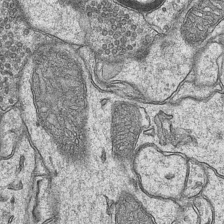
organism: Mouse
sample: CA1 Hippocampus